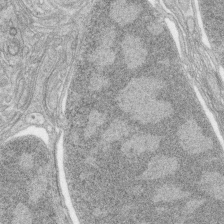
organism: Zebrafish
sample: synaptic ribbons in rod cells and cone cells